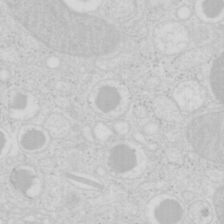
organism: Mouse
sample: Pancreas